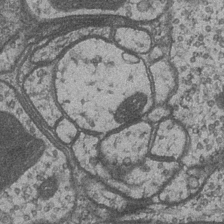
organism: Drosophila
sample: Optic medulla